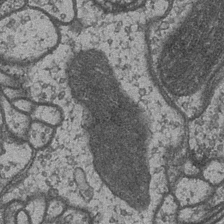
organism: Drosophila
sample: Optic medulla